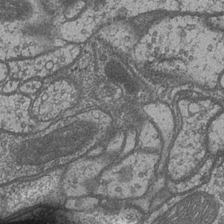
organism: Drosophila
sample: Optic medulla